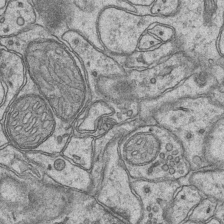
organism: Mouse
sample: CA1 Hippocampus